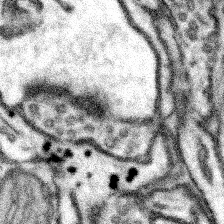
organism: Mouse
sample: Somatosensory cortex neuropil